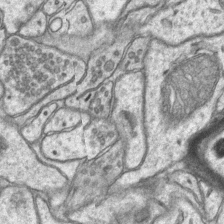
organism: Mouse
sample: CA1 Hippocampus